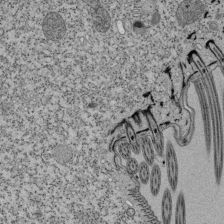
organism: Tetrahymena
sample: Cilia in tetrahymena